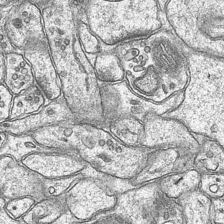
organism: Mouse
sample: CA1 Hippocampus